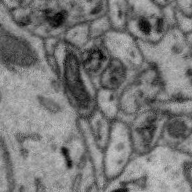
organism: Zebra finch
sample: Brain